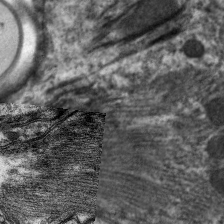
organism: C. elegans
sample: Pharynx